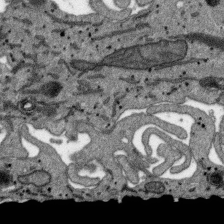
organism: Human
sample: Lung epithelial cells, uninfected (mock) control